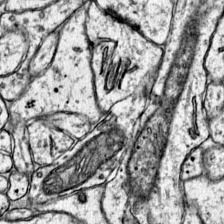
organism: Mouse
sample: Primary visual cortex